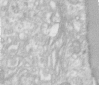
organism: Human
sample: Centriole in RPE cells